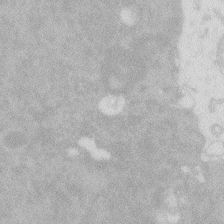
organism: Zebrafish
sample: Macrophage